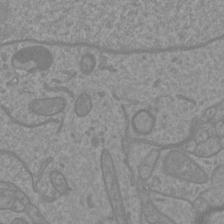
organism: Mouse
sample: Cortical neurons